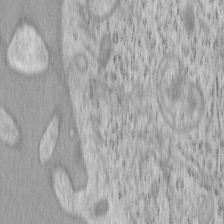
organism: Human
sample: HeLa cells